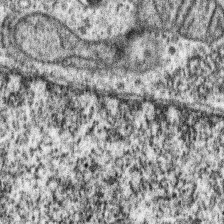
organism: Human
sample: HeLa cells